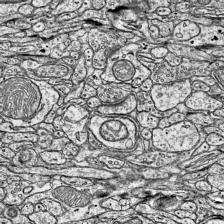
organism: Mouse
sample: Visual Cortex